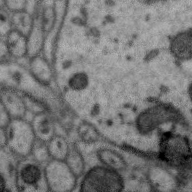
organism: Zebra finch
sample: Brain